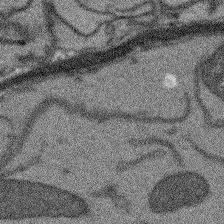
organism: Arabidopsis thaliana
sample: Root tip